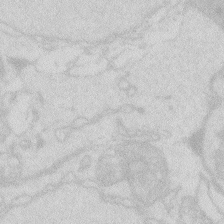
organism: Zebrafish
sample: Macrophage